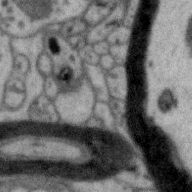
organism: Zebra finch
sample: Brain